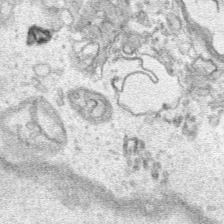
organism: Human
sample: Mitochondria in HCT116 cells